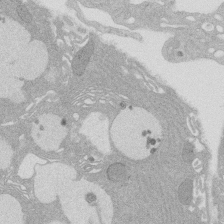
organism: Rat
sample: Salivary granule